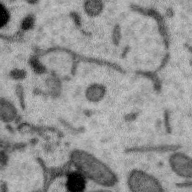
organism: Zebra finch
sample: Brain